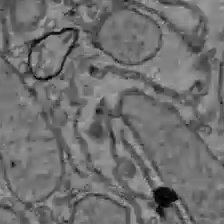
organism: C57BL Mouse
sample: Liver